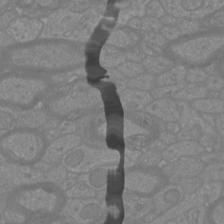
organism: Mouse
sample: Cortical neurons